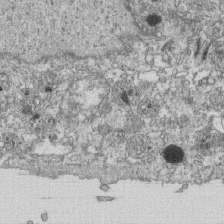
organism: Human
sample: HeLa cell HIV synapse